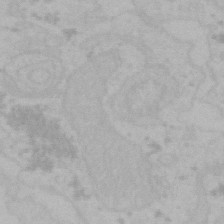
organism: Mouse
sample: Choroid plexus